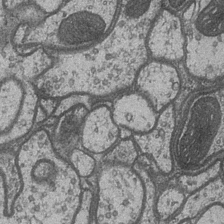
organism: Drosophila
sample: Optic medulla